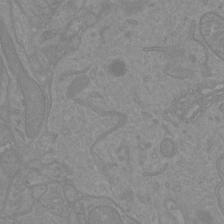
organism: Mouse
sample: Cortical neurons